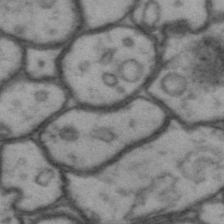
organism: Drosophila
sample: Brain